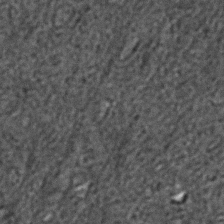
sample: Trachea